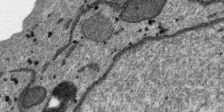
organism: Human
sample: Lung epithelial cells, uninfected (mock) control